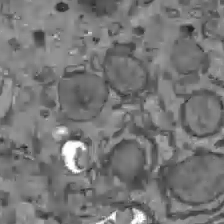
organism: C57BL Mouse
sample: Liver